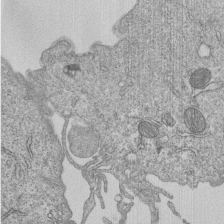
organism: Human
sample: MDA-MB-231 cells